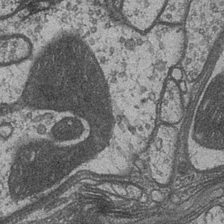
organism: Drosophila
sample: Optic medulla